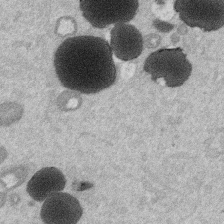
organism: Mouse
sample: Dividing mouse embryo 1 cell stage